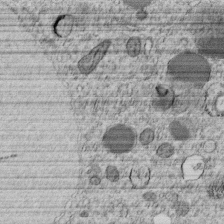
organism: C. elegans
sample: C. elegans embryo early stage